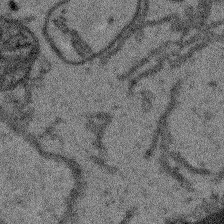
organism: Arabidopsis thaliana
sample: Root tip